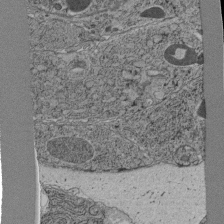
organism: C. elegans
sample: C. elegans pharynx